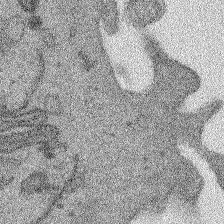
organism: Human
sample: HeLa cells